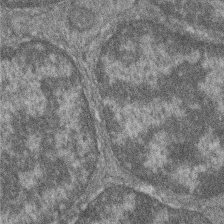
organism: Zebrafish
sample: Cilia; retinal pigment epithelium